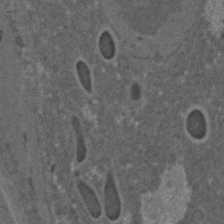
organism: C. elegans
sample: C. elegans embryo